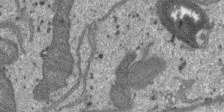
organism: Human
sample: Lung epithelial cells infected with SARS-CoV-2